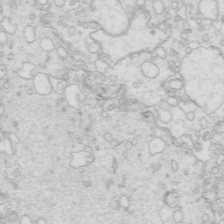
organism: Mouse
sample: Multiciliated cells